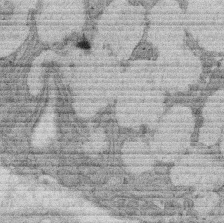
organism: Rat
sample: Salivary granule